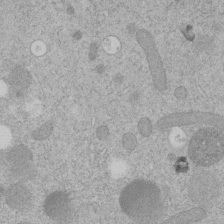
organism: C. elegans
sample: C. elegans embryo early stage